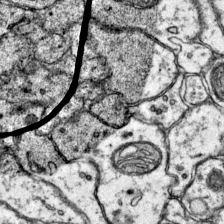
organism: Mouse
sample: Primary visual cortex